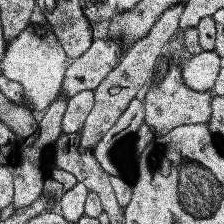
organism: Human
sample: Temporal Lobe